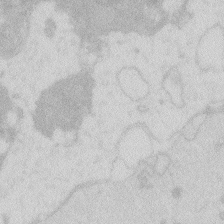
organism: Zebrafish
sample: Macrophage